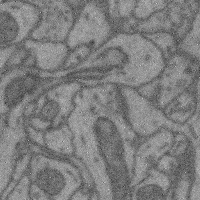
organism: Mouse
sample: Cerebral cortex